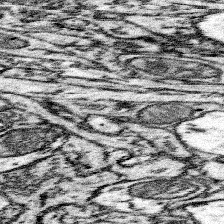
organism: Mouse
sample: Somatosensory cortex neuropil